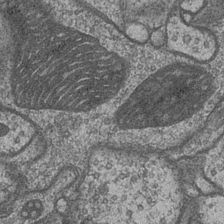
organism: Drosophila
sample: Optic medulla